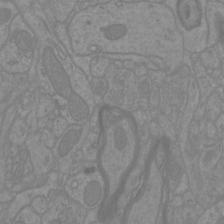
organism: Mouse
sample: Cortical neurons